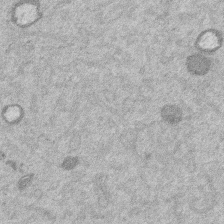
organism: Mouse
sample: Dividing mouse embryo 1 cell stage